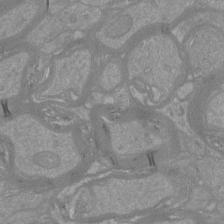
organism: Mouse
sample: Cortical neurons